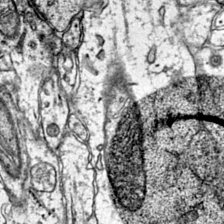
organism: Mouse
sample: Primary visual cortex